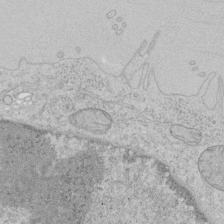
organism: Human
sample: Mitochondria in HCT116 cells